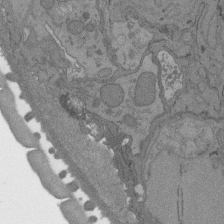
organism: C. elegans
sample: AFD neurons C. elegans